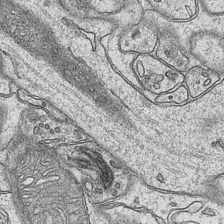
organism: Mouse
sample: CA1 Hippocampus